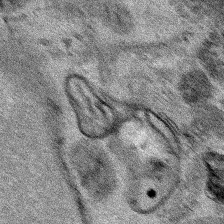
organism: Human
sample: Mitochondria in HCT116 cells